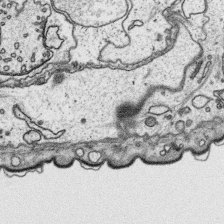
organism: Platynereis dumerilii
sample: Parapodia